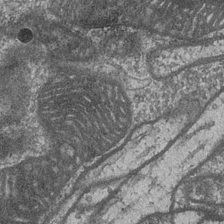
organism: Drosophila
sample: Optic medulla